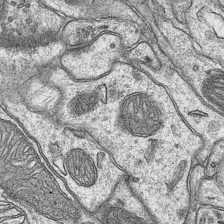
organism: Mouse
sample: CA1 Hippocampus